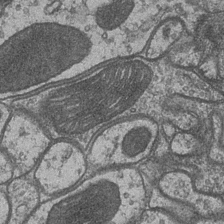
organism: Drosophila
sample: Optic medulla